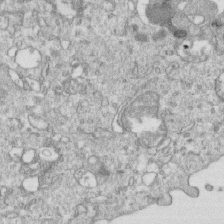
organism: Mouse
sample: Activated OT-1 CD8+ T cells